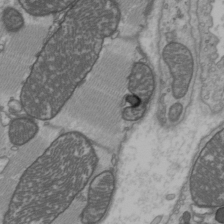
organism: C57BL Mouse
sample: Heart